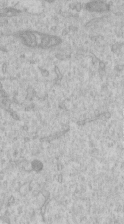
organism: Human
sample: Centriole in RPE cells